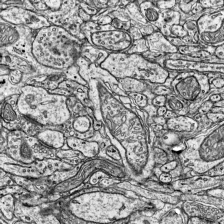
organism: Mouse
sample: Visual Cortex